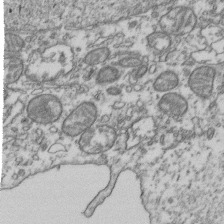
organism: Human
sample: Activated Jurkat CD4+ T cells